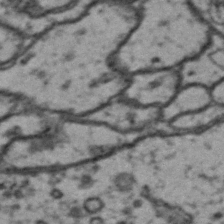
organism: Drosophila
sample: Brain